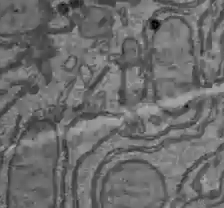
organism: C57BL Mouse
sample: Liver